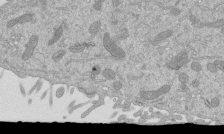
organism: Mouse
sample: ED-1 cell nuclei; centrioles